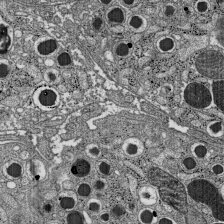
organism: C57BL Mouse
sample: Pancreatic islet